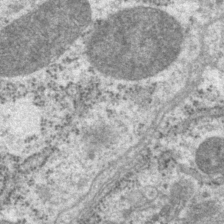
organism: P. pacificus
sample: Pharynx